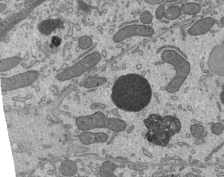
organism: Mouse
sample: Mouse epididymis efferent ductule cilia